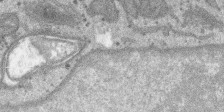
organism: Human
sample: Lung epithelial cells infected with SARS-CoV-2